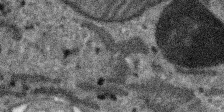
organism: Human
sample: Lung epithelial cells infected with SARS-CoV-2